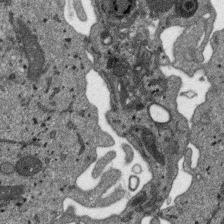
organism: Human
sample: Lung epithelial cells infected with SARS-CoV-2